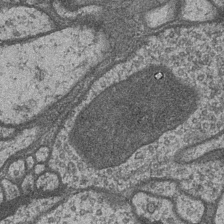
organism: Drosophila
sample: Optic medulla